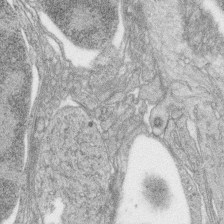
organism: Zebrafish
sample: synaptic ribbons in rod cells and cone cells